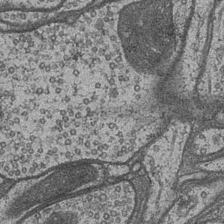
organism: Drosophila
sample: Optic medulla